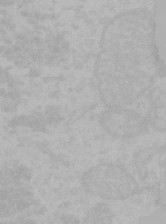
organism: Mouse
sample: Choroid plexus